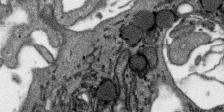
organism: Human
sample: Lung epithelial cells, uninfected (mock) control